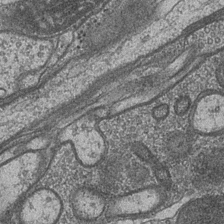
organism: Drosophila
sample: Optic medulla